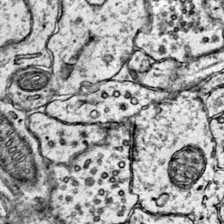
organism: Mouse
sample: Primary visual cortex